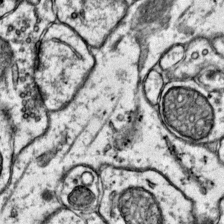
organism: Mouse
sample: Primary visual cortex